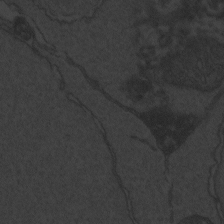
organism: Zebrafish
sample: Macrophage infected with Toxoplasma gondii